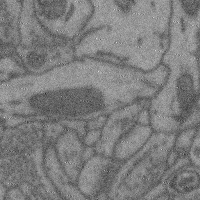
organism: Mouse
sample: Cerebral cortex